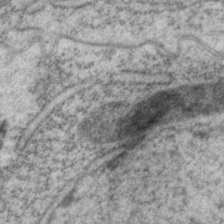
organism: P. pacificus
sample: Pharynx